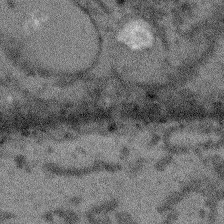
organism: Arabidopsis thaliana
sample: Root tip